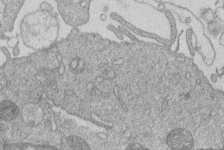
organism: Human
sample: Macrophage cells